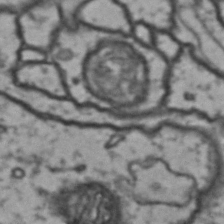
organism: Drosophila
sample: Brain